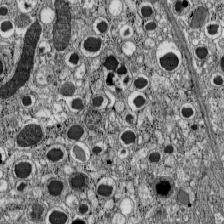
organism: C57BL Mouse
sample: Pancreatic islet